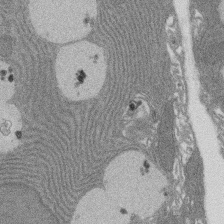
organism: Rat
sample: Salivary granule